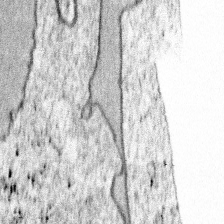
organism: Human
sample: HeLa cells